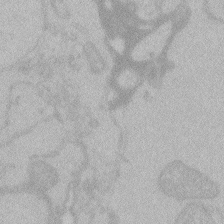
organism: Zebrafish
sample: Macrophage infected with Toxoplasma gondii